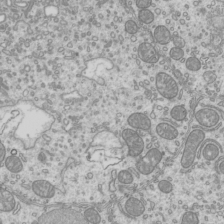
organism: Mouse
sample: Cilia; mouse epididymis